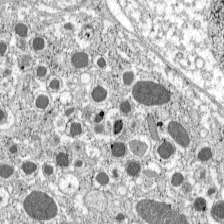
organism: C57BL Mouse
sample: Pancreatic islet